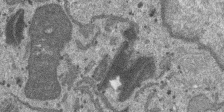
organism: Human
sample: Lung epithelial cells infected with SARS-CoV-2